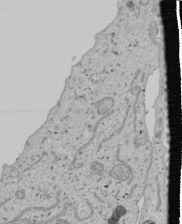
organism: Human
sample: Mitochondria in U2OS cells